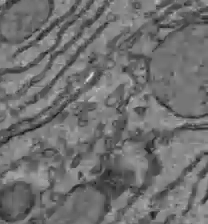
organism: C57BL Mouse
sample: Liver